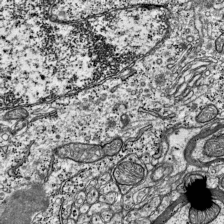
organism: Mouse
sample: Visual Cortex